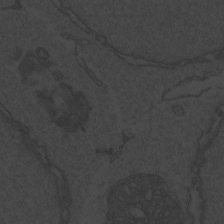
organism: Zebrafish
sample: Macrophage infected with Toxoplasma gondii